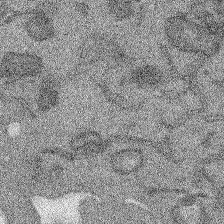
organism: Human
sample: HeLa cells